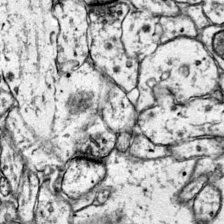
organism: Mouse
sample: Primary visual cortex